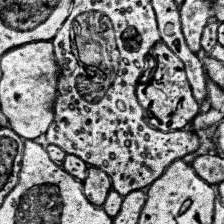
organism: Human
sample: Temporal Lobe